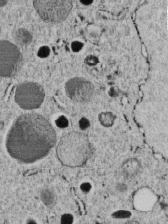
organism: C. elegans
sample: C. elegans embryo early stage